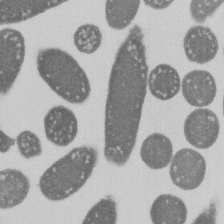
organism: E. coli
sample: Bacterial nucleoid